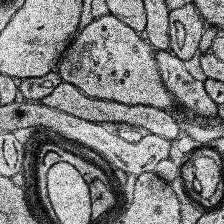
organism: Human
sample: Temporal Lobe